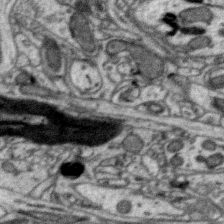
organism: Zebra finch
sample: Brain